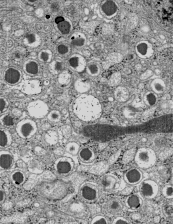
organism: C57BL Mouse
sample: Pancreatic islet